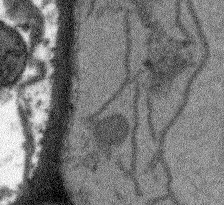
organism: Arabidopsis thaliana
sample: Root tip